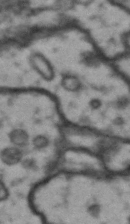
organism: Drosophila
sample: Brain